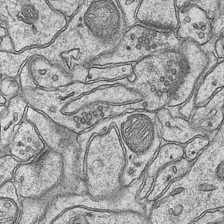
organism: Mouse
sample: CA1 Hippocampus